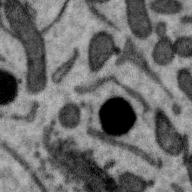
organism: Zebra finch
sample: Brain